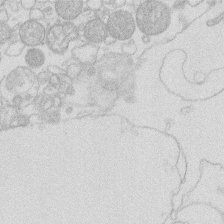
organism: Human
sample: Macrophage cells